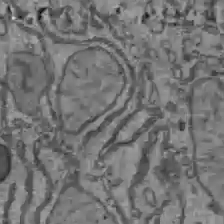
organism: C57BL Mouse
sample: Liver